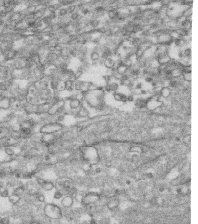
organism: Human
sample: CRL-1474